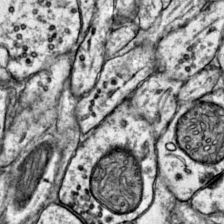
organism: Mouse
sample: Primary visual cortex